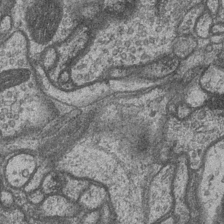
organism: Drosophila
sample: Optic medulla